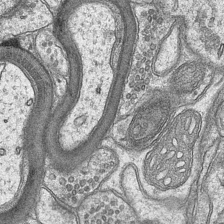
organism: Mouse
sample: CA1 Hippocampus